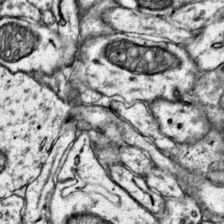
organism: Mouse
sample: Primary visual cortex